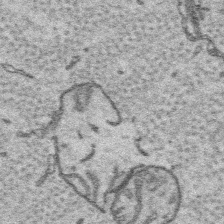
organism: Platynereis dumerilii